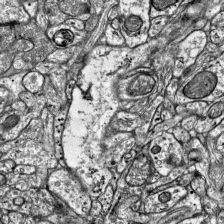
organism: Mouse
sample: Visual Cortex